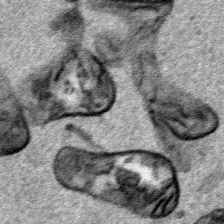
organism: Human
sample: Mitochondria in HCT116 cells